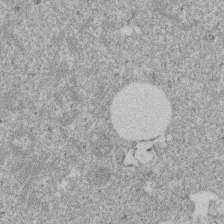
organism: Mouse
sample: Dividing mouse embryo 1 cell stage